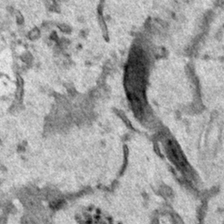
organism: Human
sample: Mitochondria in HCT116 cells